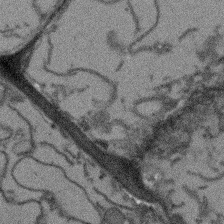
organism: Arabidopsis thaliana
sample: Root tip